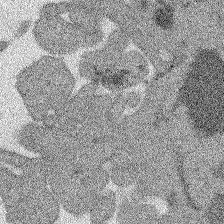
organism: Human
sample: HeLa cells